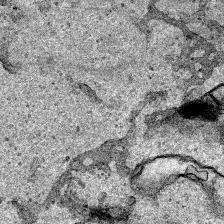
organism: Human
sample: Mitochondria in HCT116 cells